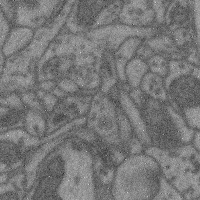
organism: Mouse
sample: Cerebral cortex